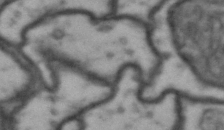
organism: Drosophila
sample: Brain